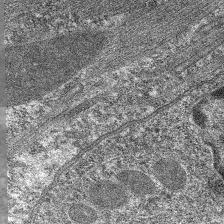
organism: C. elegans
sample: Pharynx